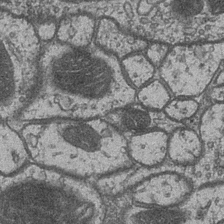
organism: Drosophila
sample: Optic medulla